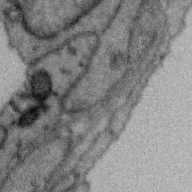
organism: Zebra finch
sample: Brain